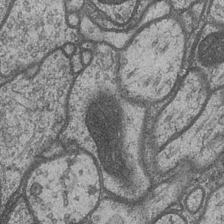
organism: Drosophila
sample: Optic medulla